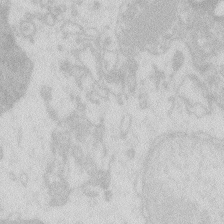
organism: Zebrafish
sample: Macrophage